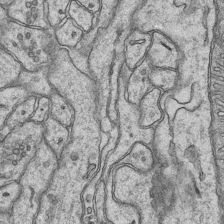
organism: Mouse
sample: CA1 Hippocampus